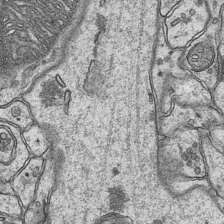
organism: Mouse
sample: CA1 Hippocampus